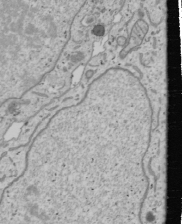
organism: Human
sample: Mitochondria in U2OS cells